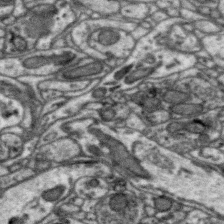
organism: Zebra finch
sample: Brain